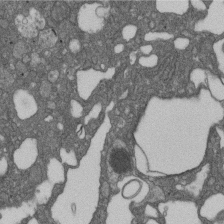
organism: Drosophila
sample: Nephrocyte